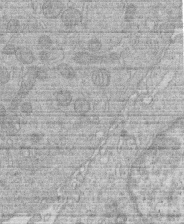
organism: Human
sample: Macrophage cells